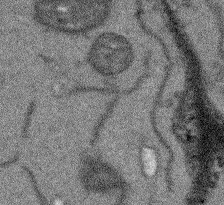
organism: Arabidopsis thaliana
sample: Root tip